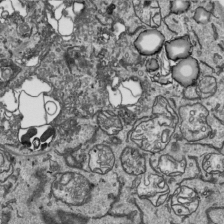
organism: Human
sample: Mitochondria in HCT116 cells